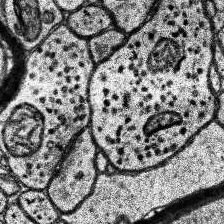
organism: Human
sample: Temporal Lobe